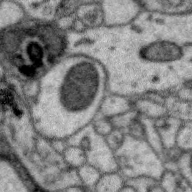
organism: Zebra finch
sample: Brain